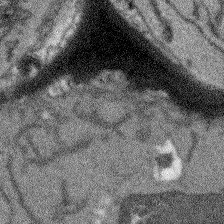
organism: Arabidopsis thaliana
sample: Root tip